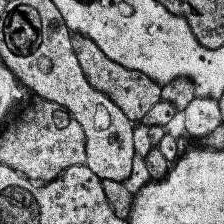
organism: Human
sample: Temporal Lobe